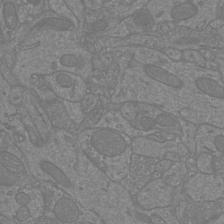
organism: Mouse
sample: Cortical neurons